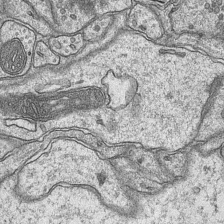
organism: Mouse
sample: CA1 Hippocampus